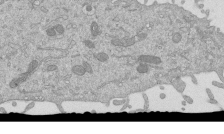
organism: Mouse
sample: ED-1 cell nuclei; centrioles